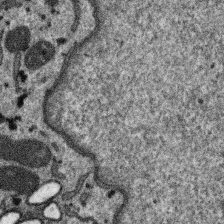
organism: Human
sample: Lung epithelial cells infected with SARS-CoV-2